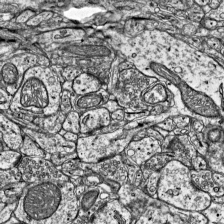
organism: Mouse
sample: Visual Cortex